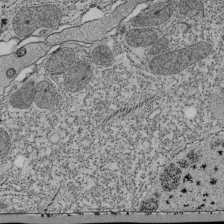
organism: Tetrahymena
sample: Cilia in tetrahymena